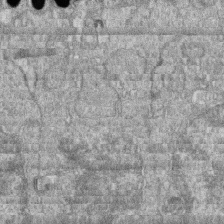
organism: Zebrafish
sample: Cilia; retinal pigment epithelium